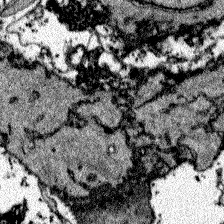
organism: Zebrafish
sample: Larval olfactory bulb